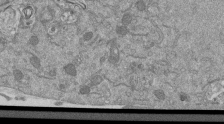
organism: Mouse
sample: ED-1 cell nuclei; centrioles